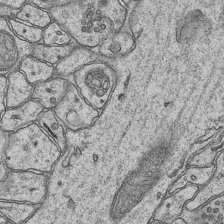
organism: Mouse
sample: CA1 Hippocampus